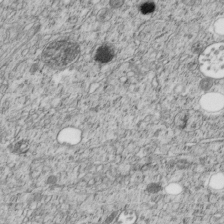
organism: C. elegans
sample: C. elegans embryo early stage